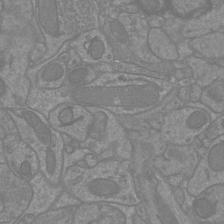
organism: Mouse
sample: Cortical neurons